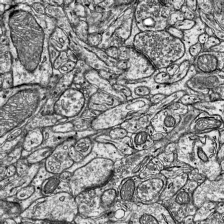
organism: Mouse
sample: Visual Cortex